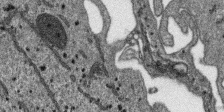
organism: Human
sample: Lung epithelial cells infected with SARS-CoV-2